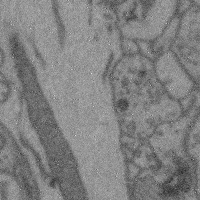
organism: Mouse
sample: Cerebral cortex